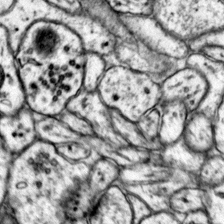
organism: Mouse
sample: Primary visual cortex